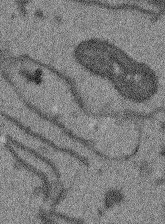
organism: Arabidopsis thaliana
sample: Root tip